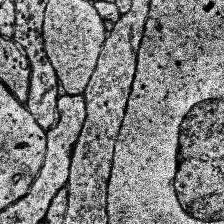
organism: Human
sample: Temporal Lobe